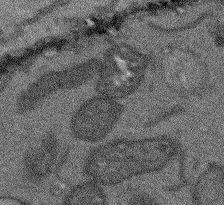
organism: Arabidopsis thaliana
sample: Root tip